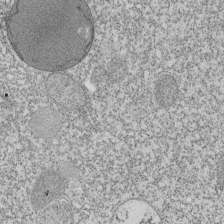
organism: Tetrahymena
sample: Cilia in tetrahymena